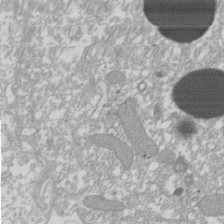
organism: Xenopus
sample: Cilia; centrioles in frog embryo cells